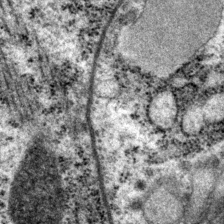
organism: P. pacificus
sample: Pharynx